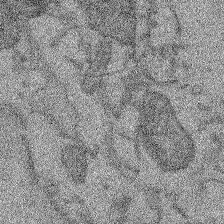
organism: Human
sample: HeLa cells